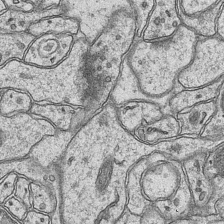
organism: Mouse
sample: CA1 Hippocampus